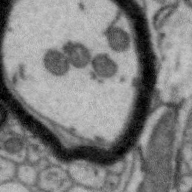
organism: Zebra finch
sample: Brain